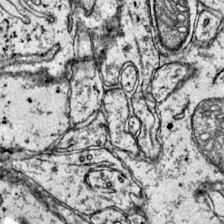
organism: Mouse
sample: Primary visual cortex